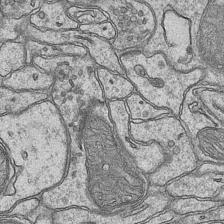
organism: Mouse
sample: CA1 Hippocampus